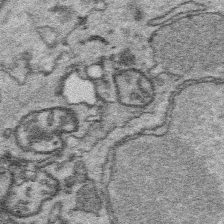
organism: Platynereis dumerilii